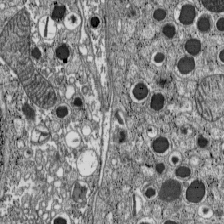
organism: C57BL Mouse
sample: Pancreatic islet